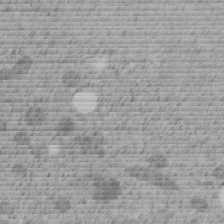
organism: C. elegans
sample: C. elegans embryo early stage